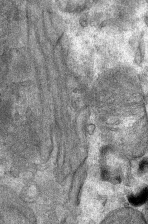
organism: Mouse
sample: Mouse Salivary gland